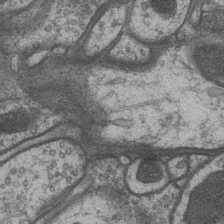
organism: Drosophila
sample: Optic medulla